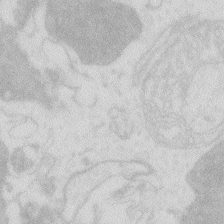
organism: Zebrafish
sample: Macrophage